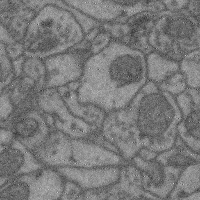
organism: Mouse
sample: Cerebral cortex